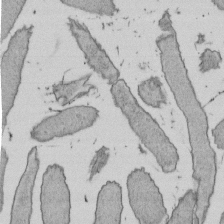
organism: E. coli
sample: Bacterial nucleoid